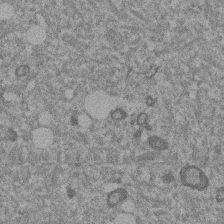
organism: Mouse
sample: Dividing mouse embryo 1 cell stage